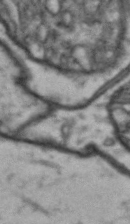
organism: Drosophila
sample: Brain